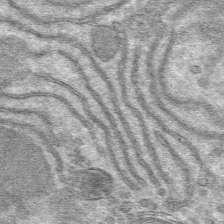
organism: Mouse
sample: Mouse hepatocytes